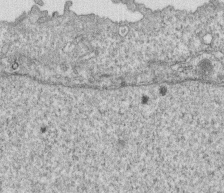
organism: Human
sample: HeLa cell HIV synapse